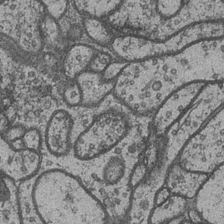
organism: Drosophila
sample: Optic medulla